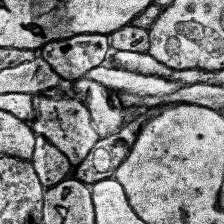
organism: Human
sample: Temporal Lobe